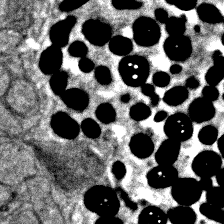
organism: Zebrafish